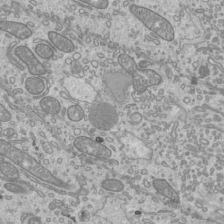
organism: Mouse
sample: Cilia; mouse epididymis